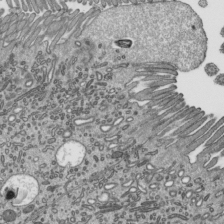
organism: Mouse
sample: Mouse epididymis efferent ductule cilia